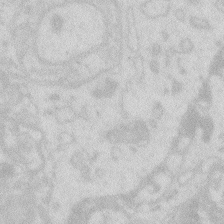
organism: Zebrafish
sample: Macrophage